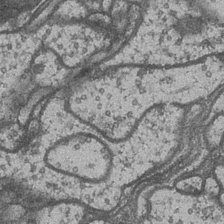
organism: Drosophila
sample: Optic medulla